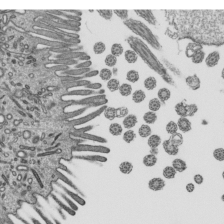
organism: Mouse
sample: Mouse epididymis efferent ductule cilia